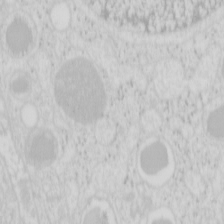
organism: Mouse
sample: Pancreas